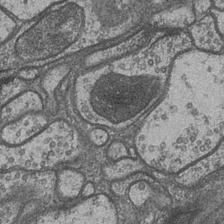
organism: Drosophila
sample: Optic medulla